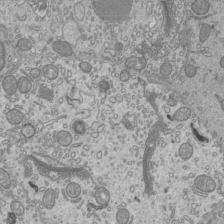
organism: Mouse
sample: Cilia; mouse epididymis